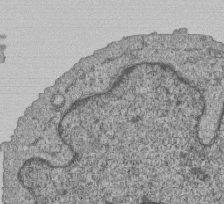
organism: Human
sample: MDA-MB-231 cells